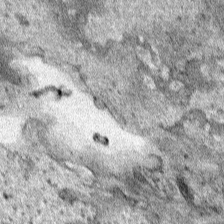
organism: Human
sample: Mitochondria in HCT116 cells